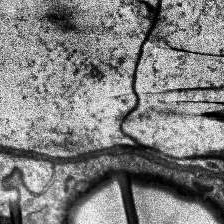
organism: Human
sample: Temporal Lobe